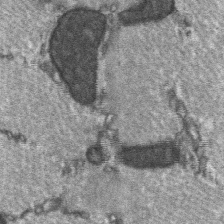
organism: C57BL Mouse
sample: Soleus